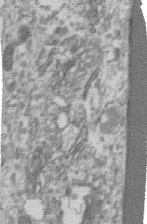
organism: Human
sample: Centriole in RPE cells